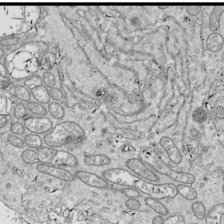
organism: Drosophila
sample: Cell division; meiosis; drosophila spermatocytes